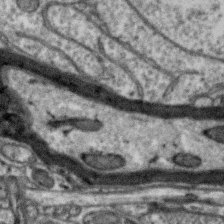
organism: Zebra finch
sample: Brain